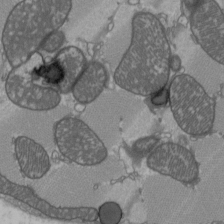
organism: C57BL Mouse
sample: Heart